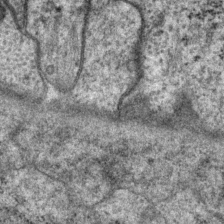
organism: P. pacificus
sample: Pharynx